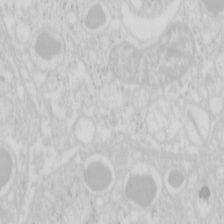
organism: Mouse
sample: Pancreas